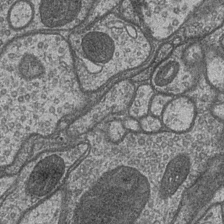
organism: Drosophila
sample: Optic medulla